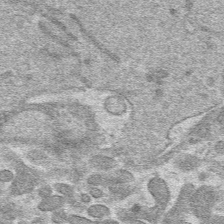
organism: Mouse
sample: Mouse hepatocytes